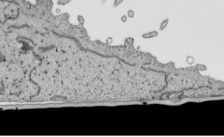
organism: Human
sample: Mitochondria in HCT116 cells